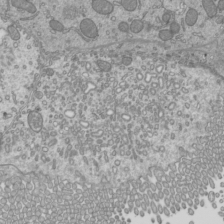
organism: Mouse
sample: Cilia; mouse epididymis